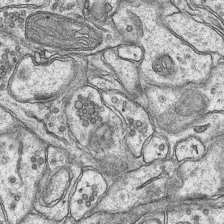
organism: Mouse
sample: CA1 Hippocampus